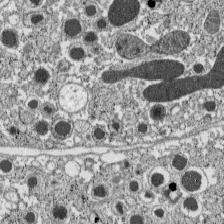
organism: C57BL Mouse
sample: Pancreatic islet